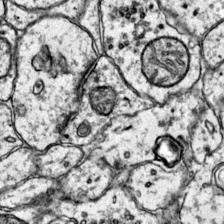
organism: Mouse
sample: Primary visual cortex